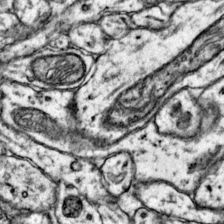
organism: Mouse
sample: Primary visual cortex